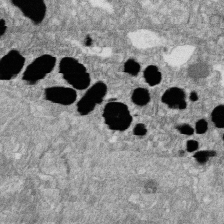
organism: Zebrafish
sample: Cilia; retinal pigment epithelium